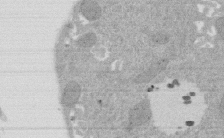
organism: Rat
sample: Salivary granule